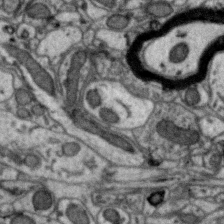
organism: Zebra finch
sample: Brain